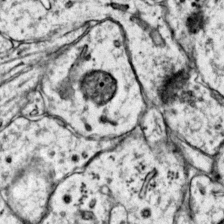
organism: Mouse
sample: Primary visual cortex